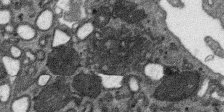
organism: Human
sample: Lung epithelial cells infected with SARS-CoV-2